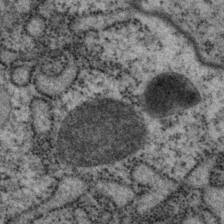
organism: P. pacificus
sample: Pharynx